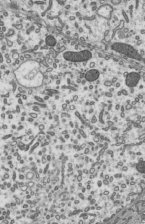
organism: Mouse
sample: Mouse epididymis efferent ductule cilia